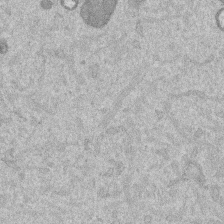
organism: Mouse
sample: Dividing mouse embryo 1 cell stage